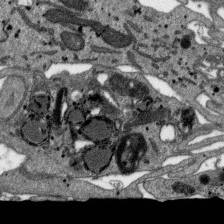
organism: Human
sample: Lung epithelial cells, uninfected (mock) control